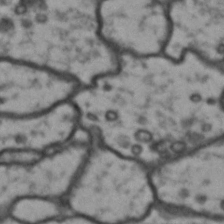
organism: Drosophila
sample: Brain